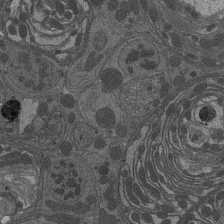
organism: Drosophila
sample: Antenna